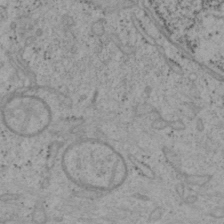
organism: Human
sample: HeLa cells